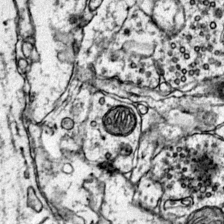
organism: Mouse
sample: Primary visual cortex